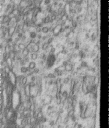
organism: Human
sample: Centriole in RPE cells